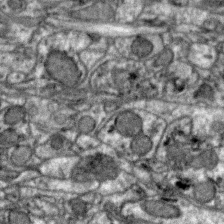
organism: Zebra finch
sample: Brain